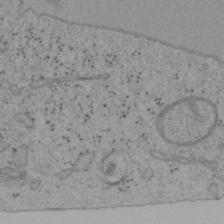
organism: Human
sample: HeLa cells